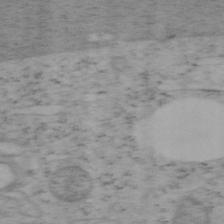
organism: Mouse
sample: OT-I killer T cells with ID8 ovarian cancer cells